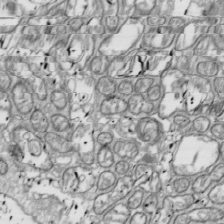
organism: Drosophila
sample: Cell division; meiosis; drosophila spermatocytes